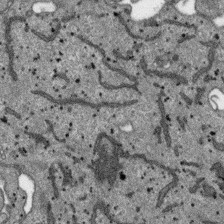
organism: Human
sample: Lung epithelial cells, uninfected (mock) control